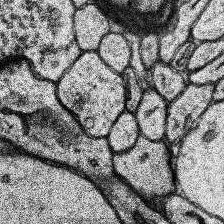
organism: Human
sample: Temporal Lobe